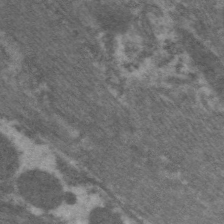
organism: C. elegans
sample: Pharynx